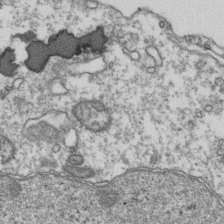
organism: Human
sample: Activated Jurkat CD4+ T cells